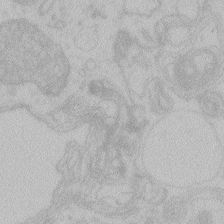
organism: Zebrafish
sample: Macrophage infected with Toxoplasma gondii